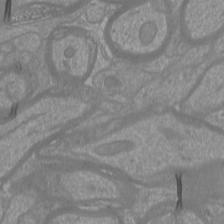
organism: Mouse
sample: Cortical neurons